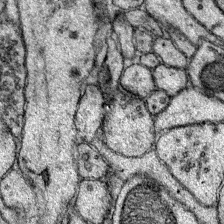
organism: Mouse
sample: Primary visual cortex